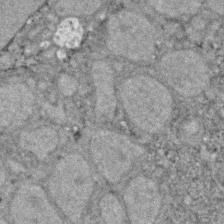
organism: Zebrafish